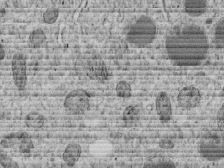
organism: C. elegans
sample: C. elegans embryo early stage